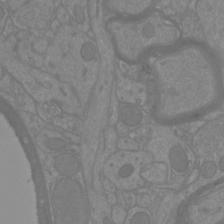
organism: Mouse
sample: Cortical neurons